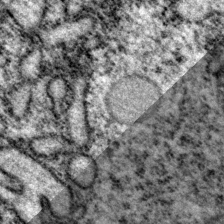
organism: P. pacificus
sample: Pharynx